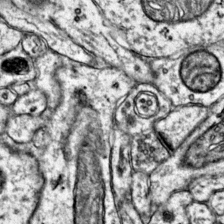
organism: Mouse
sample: Primary visual cortex